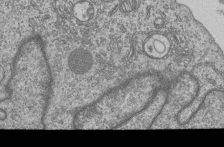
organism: Human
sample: MDA-MB-231 cells